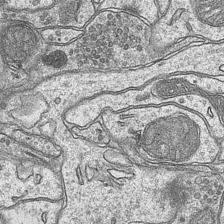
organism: Mouse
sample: CA1 Hippocampus